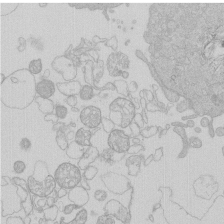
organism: Human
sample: Macrophage cells